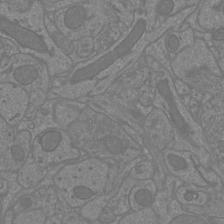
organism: Mouse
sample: Cortical neurons